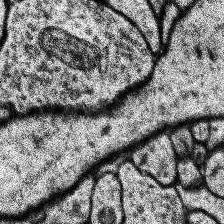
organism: Human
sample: Temporal Lobe